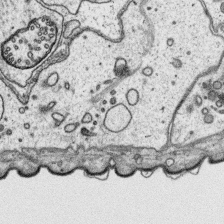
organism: Platynereis dumerilii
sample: Parapodia